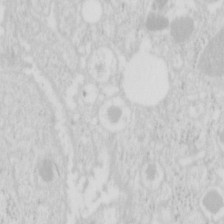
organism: Mouse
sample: Pancreas